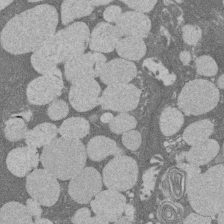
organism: Rat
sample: Salivary granule